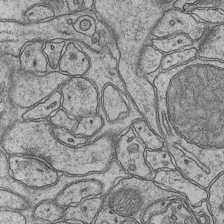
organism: Mouse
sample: CA1 Hippocampus